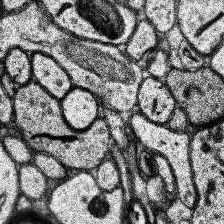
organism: Human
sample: Temporal Lobe